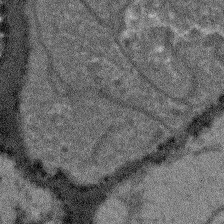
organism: Arabidopsis thaliana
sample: Root tip